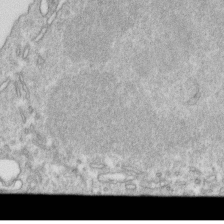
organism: Mouse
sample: Activated OT-1 CD8+ T cells